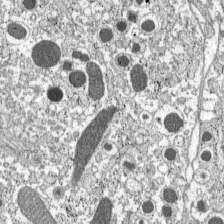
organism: C57BL Mouse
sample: Pancreatic islet